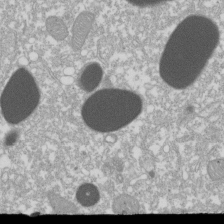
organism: Xenopus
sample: Cilia; centrioles in frog embryo cells